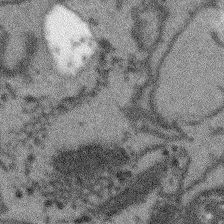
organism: Arabidopsis thaliana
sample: Root tip